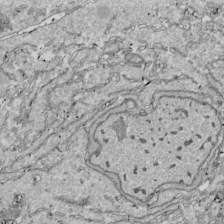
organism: Drosophila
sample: Cell division; meiosis; drosophila spermatocytes